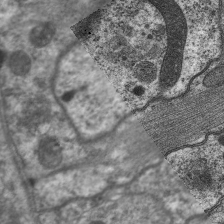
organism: C. elegans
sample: Pharynx